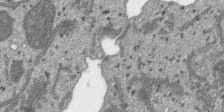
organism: Human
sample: Lung epithelial cells infected with SARS-CoV-2